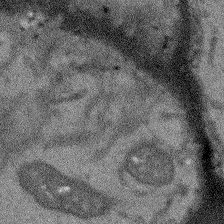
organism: Arabidopsis thaliana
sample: Root tip